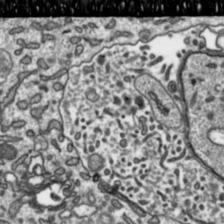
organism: Toxoplasma gondii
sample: Parasites in a vacuole inside a host cell